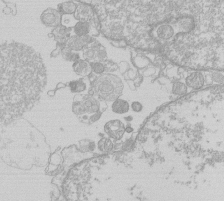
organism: Human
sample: Macrophage cells